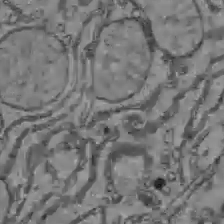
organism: C57BL Mouse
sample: Liver